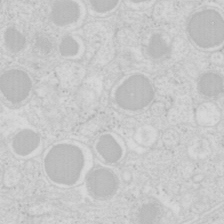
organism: Mouse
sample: Pancreas